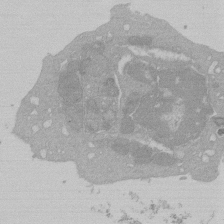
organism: Mouse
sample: Activated Pmel transgenic CD8+ T Cells